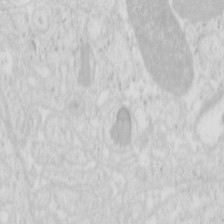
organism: Mouse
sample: Pancreas